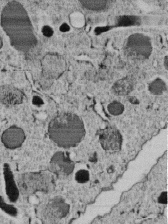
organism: C. elegans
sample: C. elegans embryo early stage